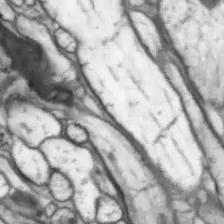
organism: Drosophila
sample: Optic lobe